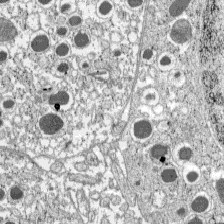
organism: C57BL Mouse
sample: Pancreatic islet